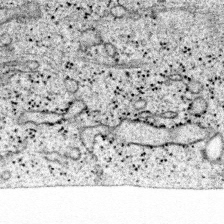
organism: Human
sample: HeLa cells